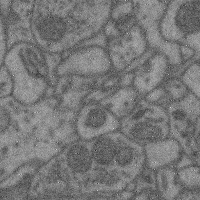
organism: Mouse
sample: Cerebral cortex